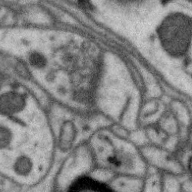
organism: Zebra finch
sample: Brain